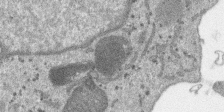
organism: Human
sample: Lung epithelial cells infected with SARS-CoV-2